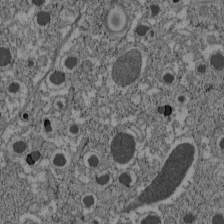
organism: C57BL Mouse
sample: Pancreatic islet